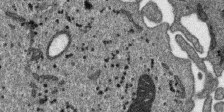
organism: Human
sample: Lung epithelial cells infected with SARS-CoV-2